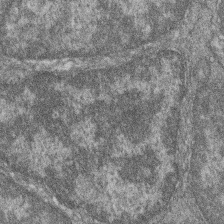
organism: Zebrafish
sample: Cilia; retinal pigment epithelium